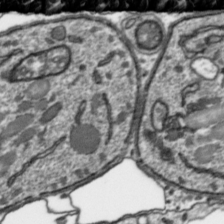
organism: Toxoplasma gondii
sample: Parasites in a vacuole inside a host cell